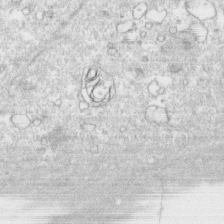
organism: Human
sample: CRL-1474